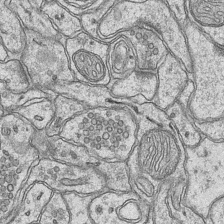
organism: Mouse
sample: CA1 Hippocampus